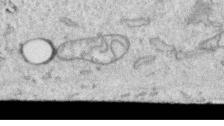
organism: Human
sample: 1205lu cells